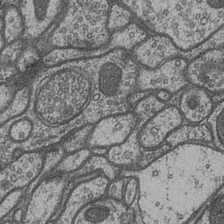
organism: Drosophila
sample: Optic medulla